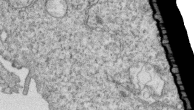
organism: Human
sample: HeLa cell HIV synapse